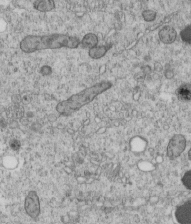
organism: C. elegans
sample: C. elegans embryo early stage